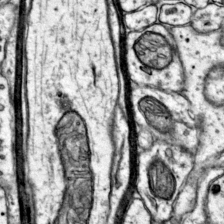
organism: Mouse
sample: Primary visual cortex